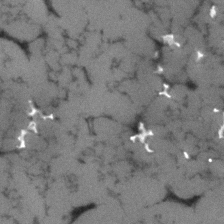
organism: Human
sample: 1205lu cells